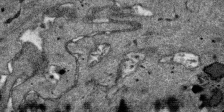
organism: Human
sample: Lung epithelial cells, uninfected (mock) control